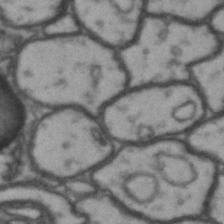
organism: Drosophila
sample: Brain